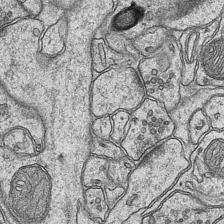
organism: Mouse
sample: CA1 Hippocampus